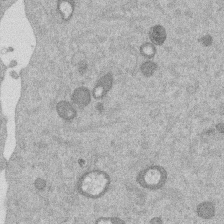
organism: Mouse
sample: Dividing mouse embryo 1 cell stage